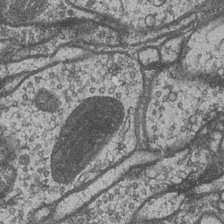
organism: Drosophila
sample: Optic medulla